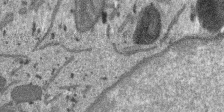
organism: Human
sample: Lung epithelial cells infected with SARS-CoV-2